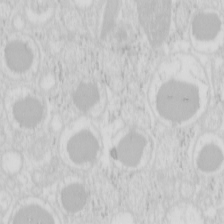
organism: Mouse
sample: Pancreas